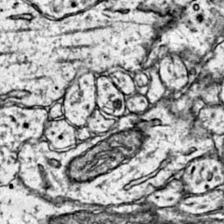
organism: Mouse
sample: Primary visual cortex